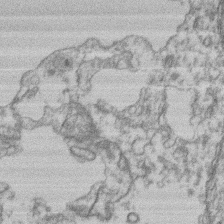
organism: Mouse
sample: T cell stromal cell synapse